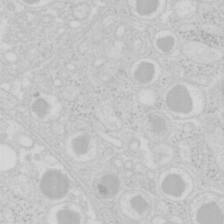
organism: Mouse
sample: Pancreas